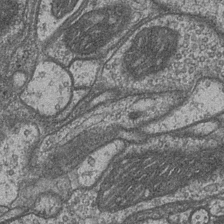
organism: Drosophila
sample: Optic medulla